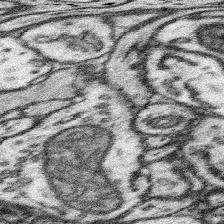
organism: Mouse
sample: Somatosensory cortex neuropil